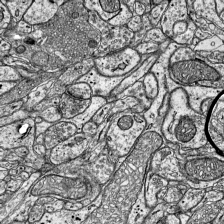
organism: Mouse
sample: Visual Cortex